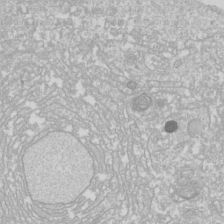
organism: Drosophila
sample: Cell division; meiosis; drosophila spermatocytes